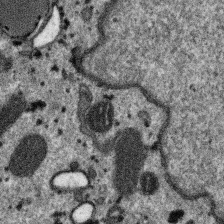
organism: Human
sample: Lung epithelial cells infected with SARS-CoV-2